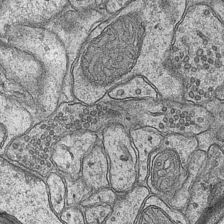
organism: Mouse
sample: CA1 Hippocampus